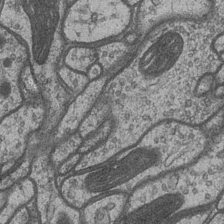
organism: Drosophila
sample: Optic medulla